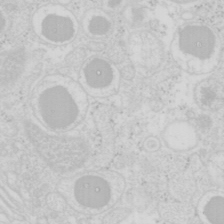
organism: Mouse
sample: Pancreas